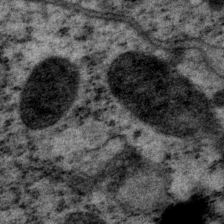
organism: P. pacificus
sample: Pharynx